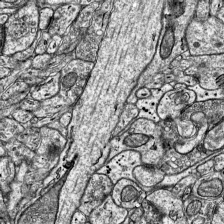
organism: Mouse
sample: Visual Cortex